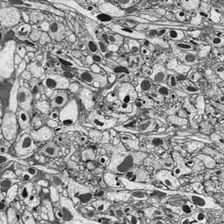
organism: Drosophila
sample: Optic lobe